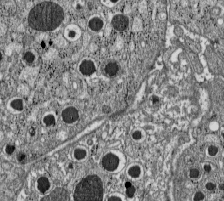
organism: C57BL Mouse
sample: Pancreatic islet